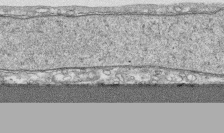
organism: Human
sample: CRL-1474